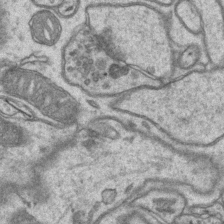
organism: Mouse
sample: CA1 Hippocampus